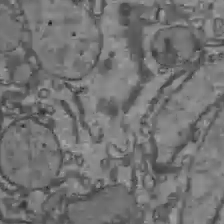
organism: C57BL Mouse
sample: Liver